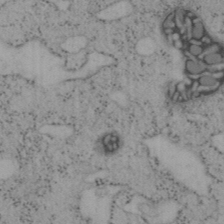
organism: Mouse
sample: OT-I killer T cells with ID8 ovarian cancer cells